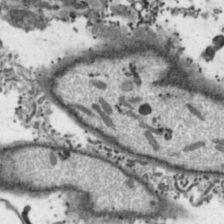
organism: Toxoplasma gondii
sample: Parasites in a vacuole inside a host cell